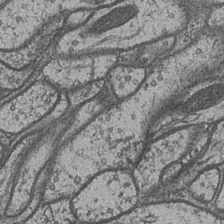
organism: Drosophila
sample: Optic medulla